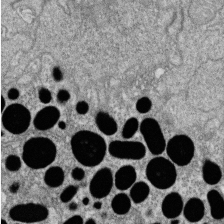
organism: Zebrafish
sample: Cilia; retinal pigment epithelium